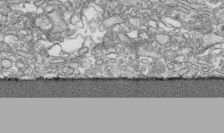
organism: Human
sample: CRL-1474